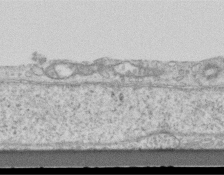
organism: Mouse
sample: Centriole in ependymal cells